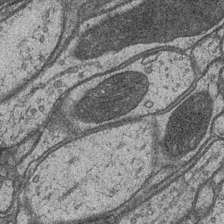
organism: Drosophila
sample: Optic medulla